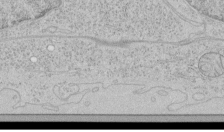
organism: Human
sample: Mitochondria in HCT116 cells